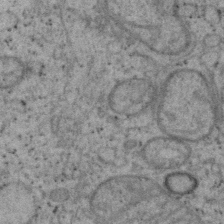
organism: Human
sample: HeLa cells